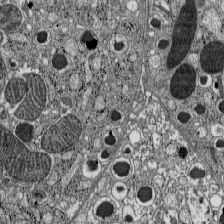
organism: C57BL Mouse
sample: Pancreatic islet